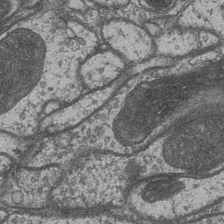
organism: Drosophila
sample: Optic medulla